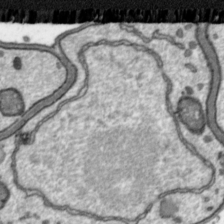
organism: Toxoplasma gondii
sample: Parasites in a vacuole inside a host cell